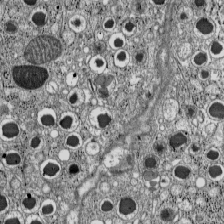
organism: C57BL Mouse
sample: Pancreatic islet